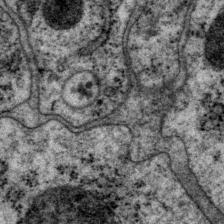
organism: P. pacificus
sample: Pharynx